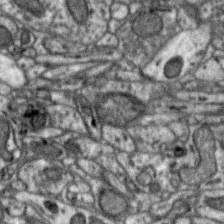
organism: Zebra finch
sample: Brain